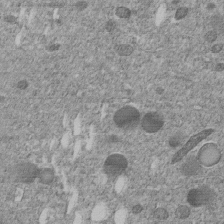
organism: C. elegans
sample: C. elegans embryo early stage